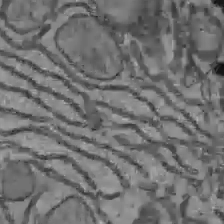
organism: C57BL Mouse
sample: Liver